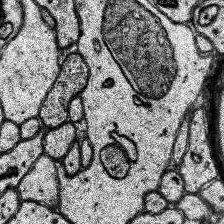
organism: Human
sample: Temporal Lobe